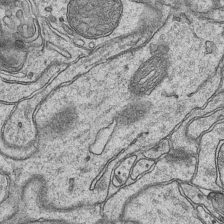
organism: Mouse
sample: CA1 Hippocampus